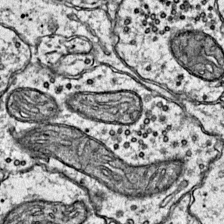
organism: Mouse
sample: Primary visual cortex